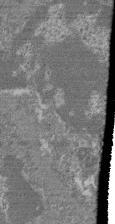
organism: Mouse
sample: Glomerulus